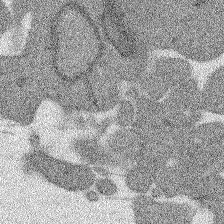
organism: Human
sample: HeLa cells